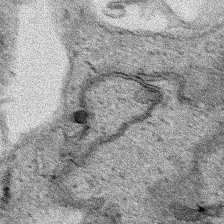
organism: Human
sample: Mitochondria in HCT116 cells